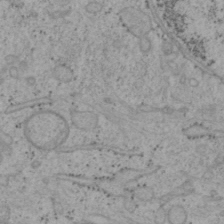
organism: Human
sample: HeLa cells